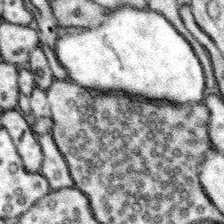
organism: Mouse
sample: Somatosensory cortex neuropil